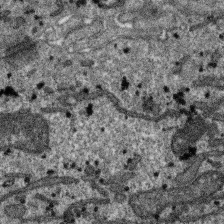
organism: Human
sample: Lung epithelial cells infected with SARS-CoV-2